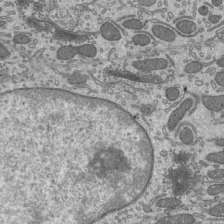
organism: Mouse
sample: Mouse epididymis efferent ductule cilia